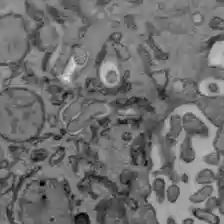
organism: C57BL Mouse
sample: Liver